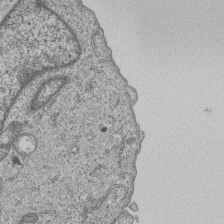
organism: Human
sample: MDA-MB-231 cells